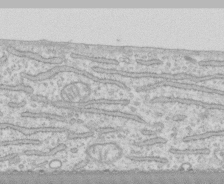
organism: Human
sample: CRL-1474